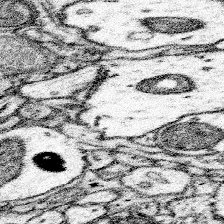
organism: Mouse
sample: Somatosensory cortex neuropil